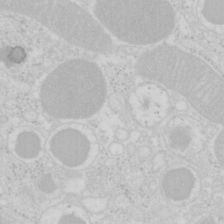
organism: Mouse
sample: Pancreas